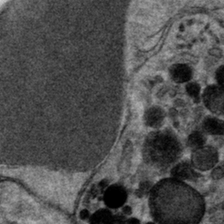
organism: Mouse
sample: Mouse hepatocytes